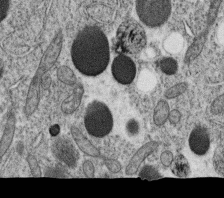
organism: C. elegans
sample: C. elegans oocyte; sperm cells